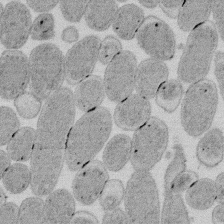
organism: E. coli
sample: Bacterial nucleoid